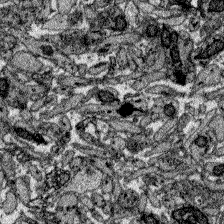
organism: Zebrafish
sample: Larval olfactory bulb